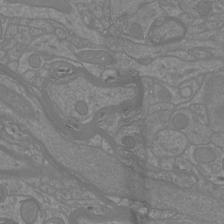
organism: Mouse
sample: Cortical neurons